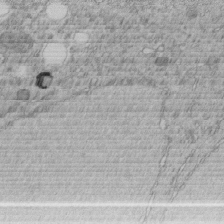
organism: C. elegans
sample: C. elegans embryo early stage